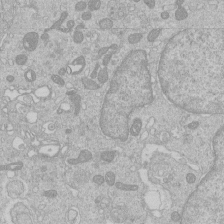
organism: Human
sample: Macrophage cells